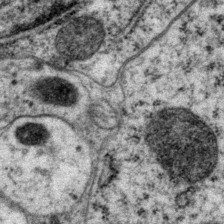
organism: P. pacificus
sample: Pharynx